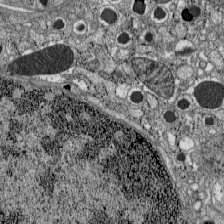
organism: C57BL Mouse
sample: Pancreatic islet